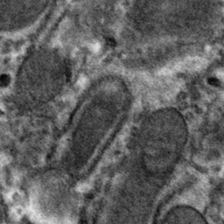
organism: Mouse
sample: Mouse hepatocytes